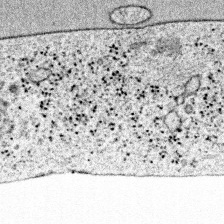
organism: Human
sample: HeLa cells